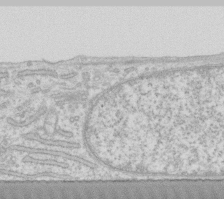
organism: Human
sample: Fibroblast cells